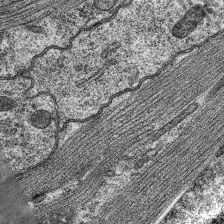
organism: C. elegans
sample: Pharynx